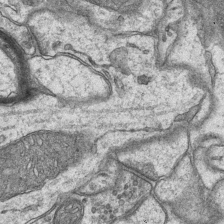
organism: Mouse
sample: CA1 Hippocampus